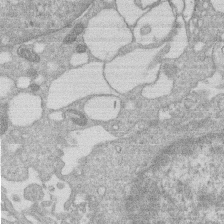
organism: Human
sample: Macrophage cells